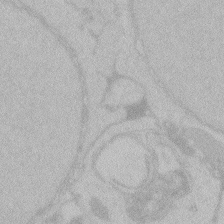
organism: Zebrafish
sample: Macrophage infected with Toxoplasma gondii